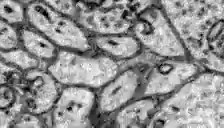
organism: Zebrafish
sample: Brain